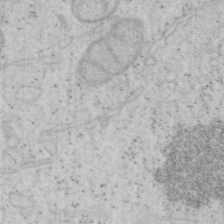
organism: Human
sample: HeLa cells